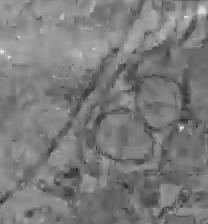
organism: C57BL Mouse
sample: Liver